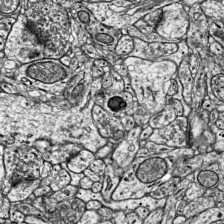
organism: Mouse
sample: Visual Cortex